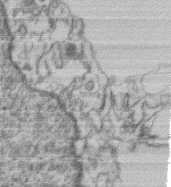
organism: Mouse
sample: T cell stromal cell synapse